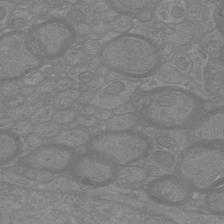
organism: Mouse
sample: Cortical neurons